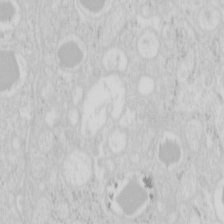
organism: Mouse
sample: Pancreas